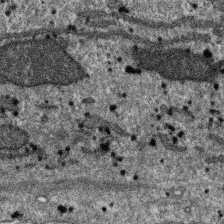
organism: Human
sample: Lung epithelial cells infected with SARS-CoV-2